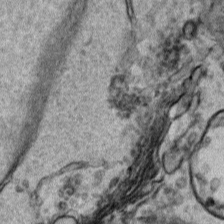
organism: Human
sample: Mitochondria in HCT116 cells